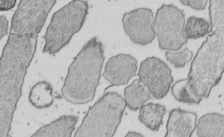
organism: E. coli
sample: Bacterial nucleoid